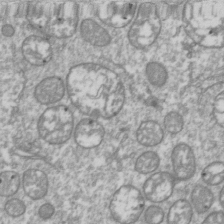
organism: Drosophila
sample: Cell division; meiosis; drosophila spermatocytes